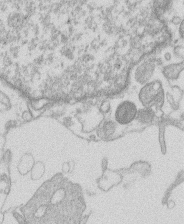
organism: Human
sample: Macrophage cells